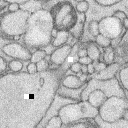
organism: Rabbit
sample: Retina